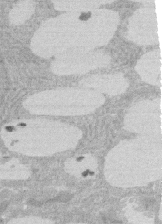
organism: Rat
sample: Salivary granule